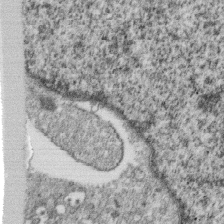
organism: African green monkey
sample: Vero E6 cells infected with SARS-CoV-2